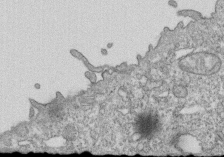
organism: Human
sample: HeLa cell HIV synapse